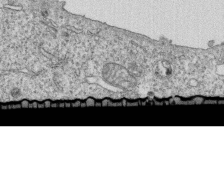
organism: Human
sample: HeLa cell HIV synapse